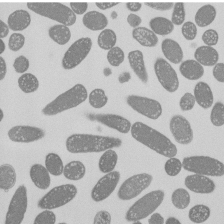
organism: E. coli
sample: Bacterial nucleoid